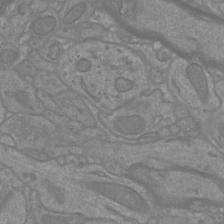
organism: Mouse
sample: Cortical neurons